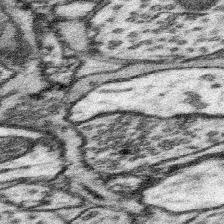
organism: Mouse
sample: Somatosensory cortex neuropil